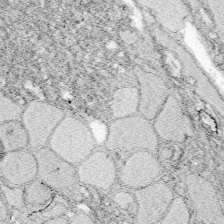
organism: Zebrafish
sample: Whole-Brain